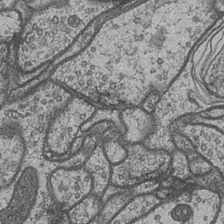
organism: Drosophila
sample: Optic medulla